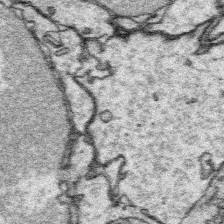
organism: Platynereis dumerilii